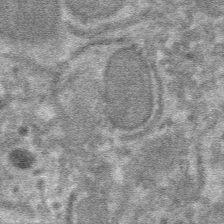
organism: Mouse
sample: Mouse hepatocytes